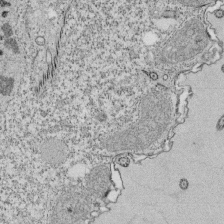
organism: Tetrahymena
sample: Cilia in tetrahymena